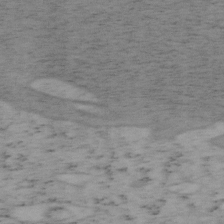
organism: Mouse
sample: OT-I killer T cells with ID8 ovarian cancer cells